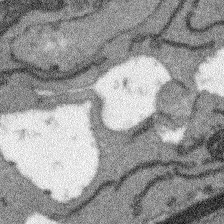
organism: Arabidopsis thaliana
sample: Root tip